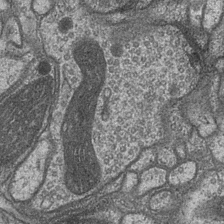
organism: Drosophila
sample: Optic medulla